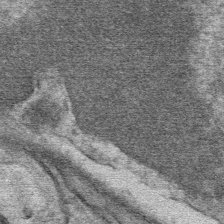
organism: Mouse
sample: Mouse Salivary gland